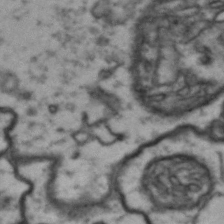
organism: Drosophila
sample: Brain